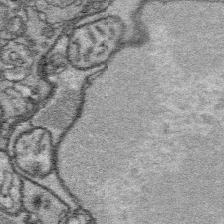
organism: Platynereis dumerilii